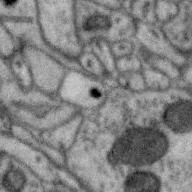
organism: Zebra finch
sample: Brain